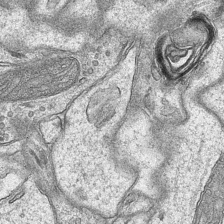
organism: Mouse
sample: CA1 Hippocampus